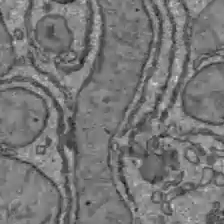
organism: C57BL Mouse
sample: Liver